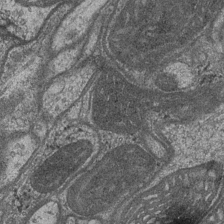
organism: Drosophila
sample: Optic medulla